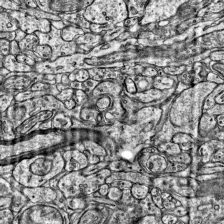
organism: Mouse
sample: Visual Cortex